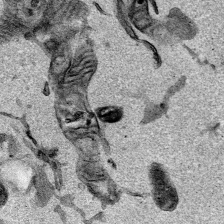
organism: Mouse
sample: Cancer cell death in ED-1 cells